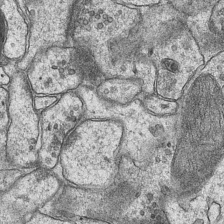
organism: Mouse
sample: CA1 Hippocampus